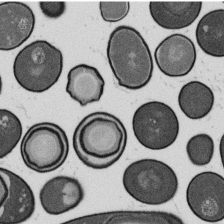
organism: B. subtilis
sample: Bacterial spore